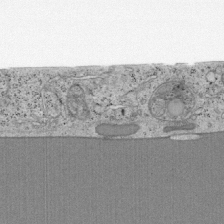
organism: Human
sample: HeLa cells